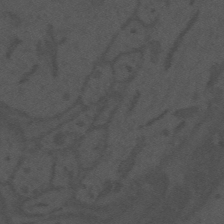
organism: Mouse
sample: Suprachiasmatic nucleus